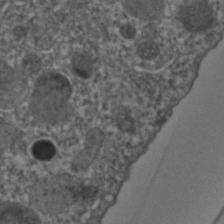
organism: C. elegans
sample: C. elegans embryo